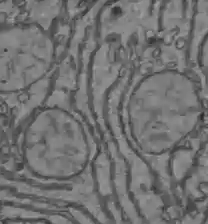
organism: C57BL Mouse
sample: Liver